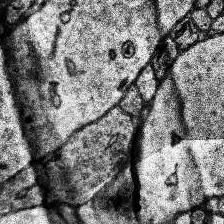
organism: Human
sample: Temporal Lobe